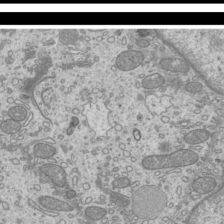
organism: Mouse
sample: Cilia; mouse epididymis